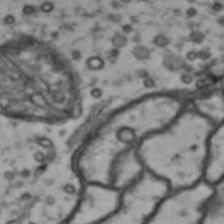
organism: Drosophila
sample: Brain